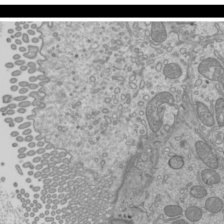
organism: Mouse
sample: Cilia; mouse epididymis